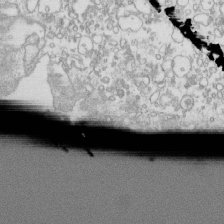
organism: Mouse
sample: Macrophages